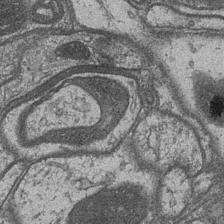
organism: Drosophila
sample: Optic medulla